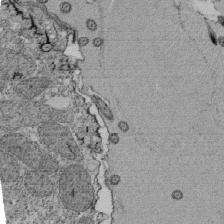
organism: Tetrahymena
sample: Cilia in tetrahymena